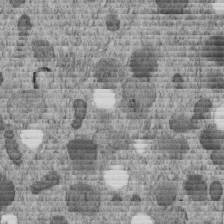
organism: C. elegans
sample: C. elegans embryo early stage